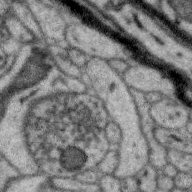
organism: Zebra finch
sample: Brain